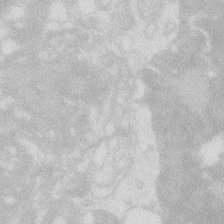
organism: Zebrafish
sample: Macrophage